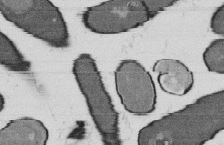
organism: B. subtilis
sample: Bacterial spore